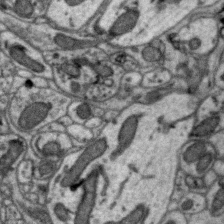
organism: Zebra finch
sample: Brain